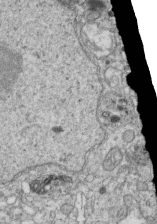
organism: Human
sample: HeLa cell HIV synapse